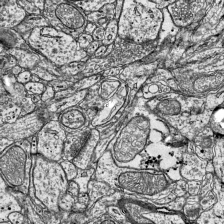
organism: Mouse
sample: Visual Cortex